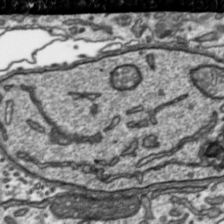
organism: Toxoplasma gondii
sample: Parasites in a vacuole inside a host cell